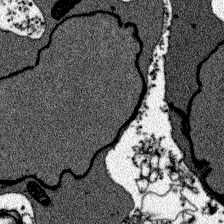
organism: Zebrafish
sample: Larval olfactory bulb